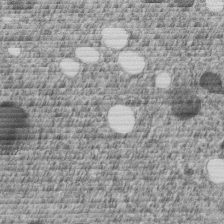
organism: C. elegans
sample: C. elegans embryo early stage